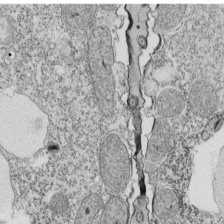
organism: Tetrahymena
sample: Cilia in tetrahymena